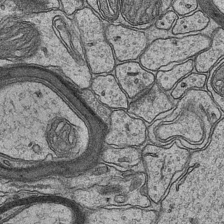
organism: Mouse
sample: CA1 Hippocampus